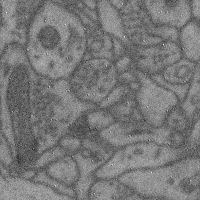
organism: Mouse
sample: Cerebral cortex